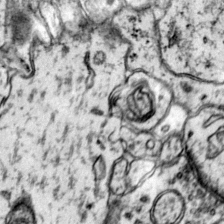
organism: Mouse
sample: Primary visual cortex